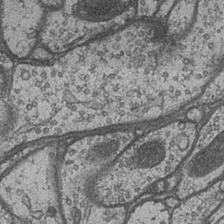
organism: Drosophila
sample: Optic medulla